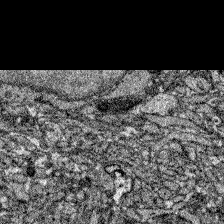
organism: Zebrafish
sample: Larval olfactory bulb